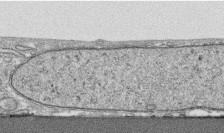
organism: Human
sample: CRL-1474